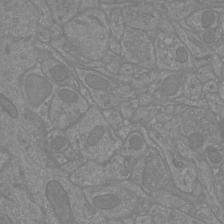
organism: Mouse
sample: Cortical neurons